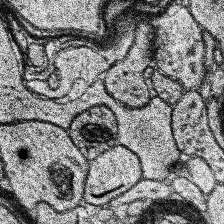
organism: Human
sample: Temporal Lobe